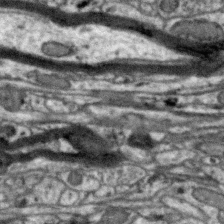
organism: Zebra finch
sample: Brain